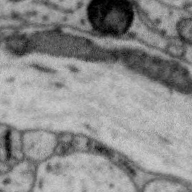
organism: Zebra finch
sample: Brain